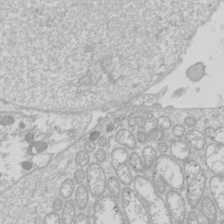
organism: Drosophila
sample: Cell division; meiosis; drosophila spermatocytes